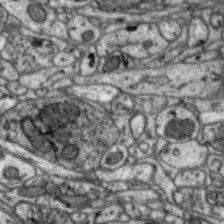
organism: Zebra finch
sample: Brain